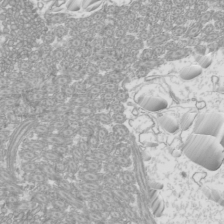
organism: Mouse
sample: Cilia; mouse epididymis